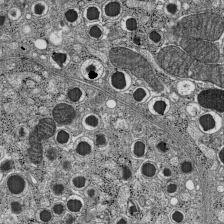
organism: C57BL Mouse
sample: Pancreatic islet